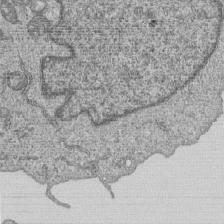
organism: Human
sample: MDA-MB-231 cells